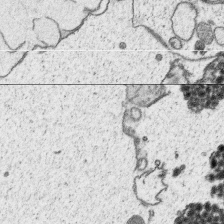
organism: Platynereis dumerilii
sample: Parapodia